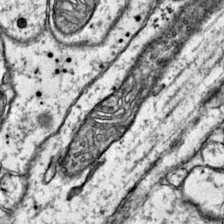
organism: Mouse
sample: Primary visual cortex